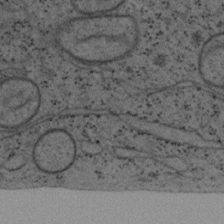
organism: Human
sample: HeLa cells